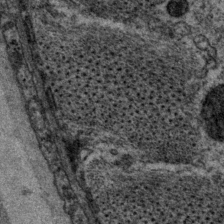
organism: P. pacificus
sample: Pharynx